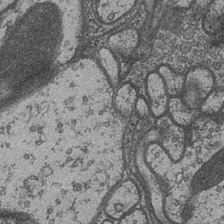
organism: Drosophila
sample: Optic medulla